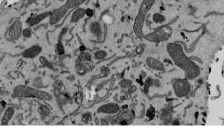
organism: Mouse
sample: ED-1 cell nuclei; centrioles